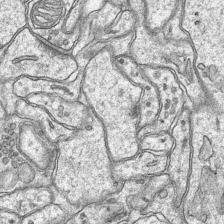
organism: Mouse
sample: CA1 Hippocampus